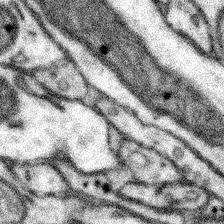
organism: Mouse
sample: Somatosensory cortex neuropil